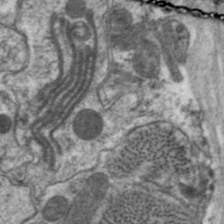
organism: C. elegans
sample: Pharynx